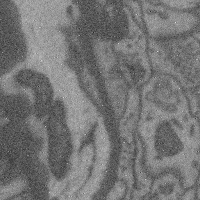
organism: Mouse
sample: Cerebral cortex